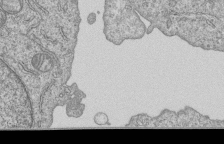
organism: Human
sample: MDA-MB-231 cells